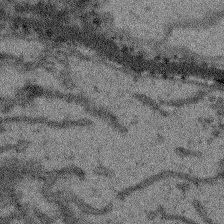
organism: Arabidopsis thaliana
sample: Root tip